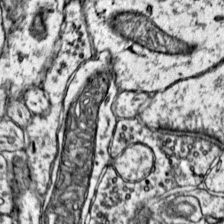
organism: Mouse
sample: Primary visual cortex